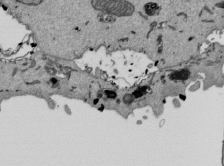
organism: Mouse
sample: ED-1 cell nuclei; centrioles